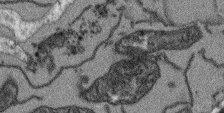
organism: Arabidopsis thaliana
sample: Root tip